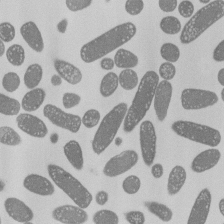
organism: E. coli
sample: Bacterial nucleoid